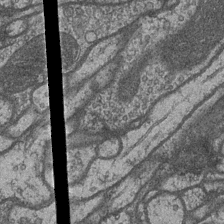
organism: Drosophila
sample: Optic medulla